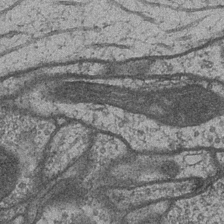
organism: Drosophila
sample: Optic medulla